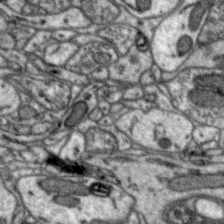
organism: Zebra finch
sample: Brain